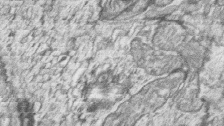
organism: Zebrafish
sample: synaptic ribbons in rod cells and cone cells